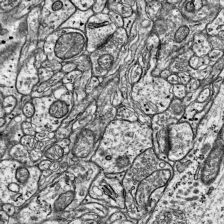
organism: Mouse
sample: Visual Cortex